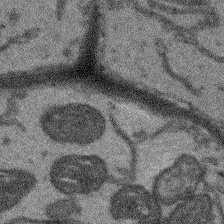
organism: Arabidopsis thaliana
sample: Root tip